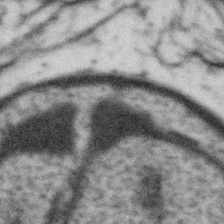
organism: Gemmata obscuriglobus